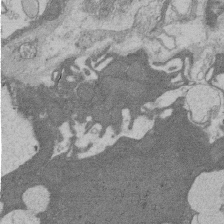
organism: Rat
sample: Salivary granule